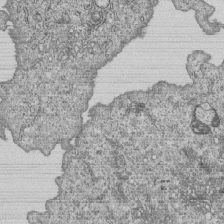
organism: Human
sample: MDA-MB-231 cells